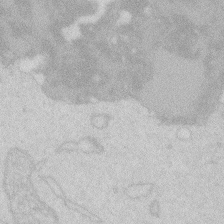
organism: Zebrafish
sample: Macrophage